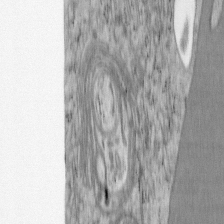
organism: Human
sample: HeLa cells